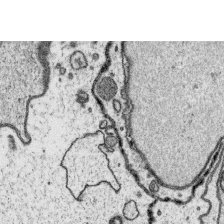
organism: Platynereis dumerilii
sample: Parapodia